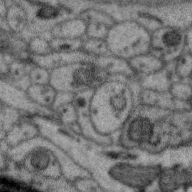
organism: Zebra finch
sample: Brain